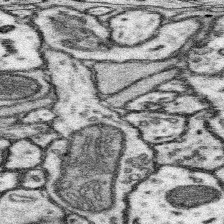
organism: Mouse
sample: Somatosensory cortex neuropil